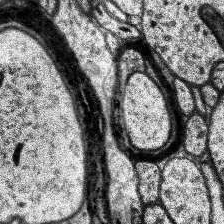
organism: Human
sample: Temporal Lobe